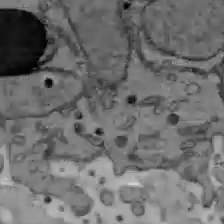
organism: C57BL Mouse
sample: Liver